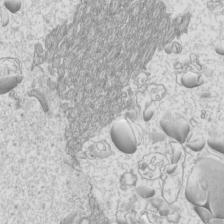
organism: Mouse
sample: Cilia; mouse epididymis